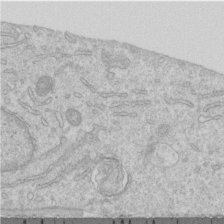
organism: Human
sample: Centriole in RPE cells